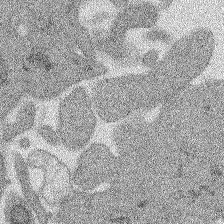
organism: Human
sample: HeLa cells